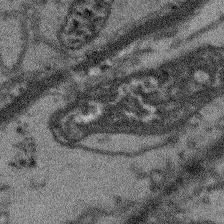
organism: Arabidopsis thaliana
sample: Root tip